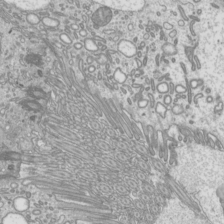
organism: Mouse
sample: Cilia; mouse epididymis